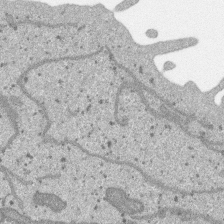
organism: Human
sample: Lung epithelial cells infected with SARS-CoV-2